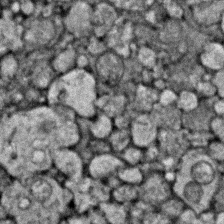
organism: Zebrafish